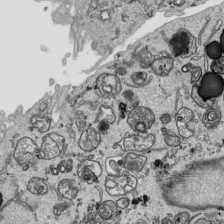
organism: Human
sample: Mitochondria in HCT116 cells